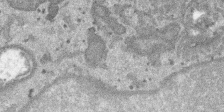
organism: Human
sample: Lung epithelial cells infected with SARS-CoV-2